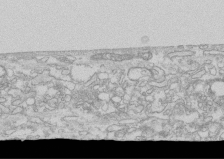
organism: Human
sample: CRL-1474